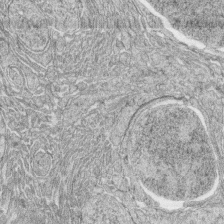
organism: Zebrafish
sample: synaptic ribbons in rod cells and cone cells